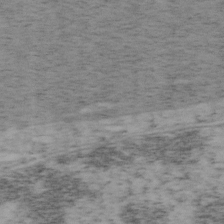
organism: Mouse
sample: OT-I killer T cells with ID8 ovarian cancer cells